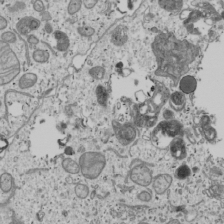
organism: Human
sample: Mitochondria in U2OS cells